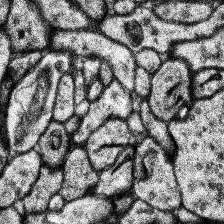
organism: Human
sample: Temporal Lobe